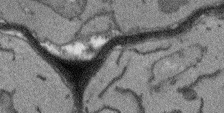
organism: Arabidopsis thaliana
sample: Root tip